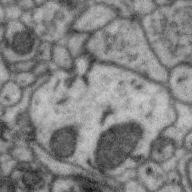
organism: Zebra finch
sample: Brain